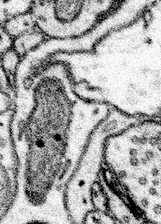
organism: Mouse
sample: Somatosensory cortex neuropil